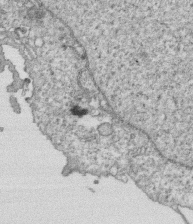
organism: Human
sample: HeLa cell HIV synapse